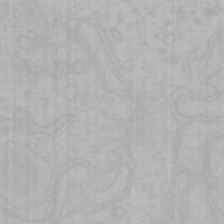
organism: Mouse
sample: Choroid plexus